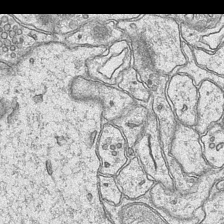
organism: Mouse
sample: CA1 Hippocampus